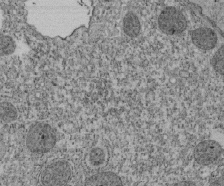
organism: Tetrahymena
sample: Cilia in tetrahymena